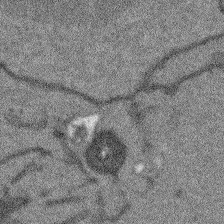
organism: Arabidopsis thaliana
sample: Root tip